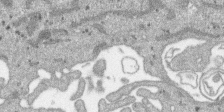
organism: Human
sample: Lung epithelial cells infected with SARS-CoV-2